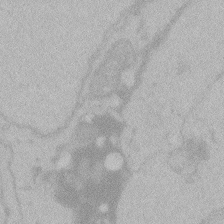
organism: Zebrafish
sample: Macrophage infected with Toxoplasma gondii